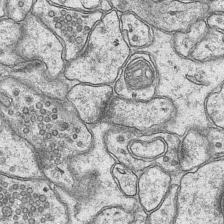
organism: Mouse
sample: CA1 Hippocampus